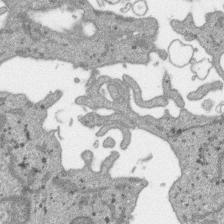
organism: Human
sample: Lung epithelial cells infected with SARS-CoV-2